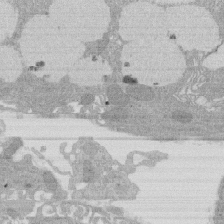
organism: Rat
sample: Salivary granule